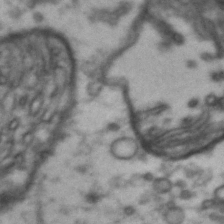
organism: Drosophila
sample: Brain